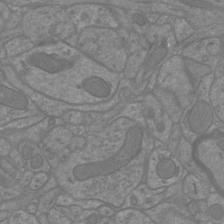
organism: Mouse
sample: Cortical neurons